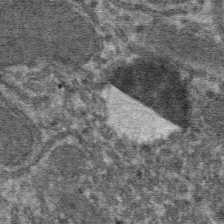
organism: Mouse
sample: Mouse hepatocytes